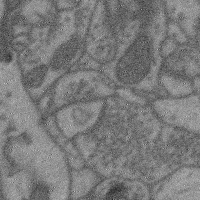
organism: Mouse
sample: Cerebral cortex